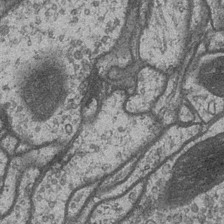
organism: Drosophila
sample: Optic medulla